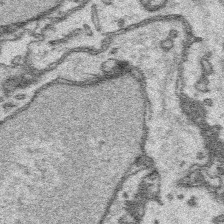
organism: Platynereis dumerilii